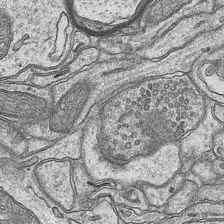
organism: Mouse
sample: CA1 Hippocampus